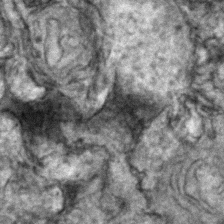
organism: Zebrafish